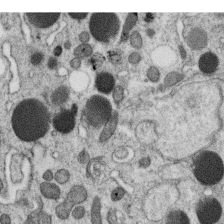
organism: C. elegans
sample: C. elegans oocyte; sperm cells